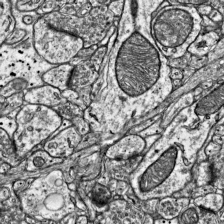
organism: Mouse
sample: Visual Cortex